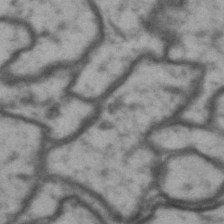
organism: Drosophila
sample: Brain